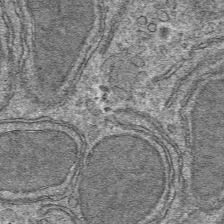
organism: Mouse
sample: Mouse hepatocytes